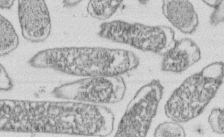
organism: E. coli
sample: Bacterial nucleoid